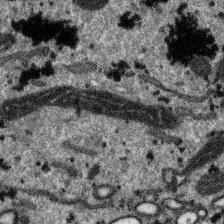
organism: Human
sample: Lung epithelial cells infected with SARS-CoV-2